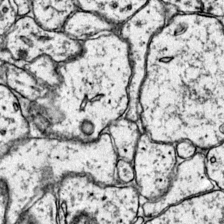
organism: Mouse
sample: Primary visual cortex